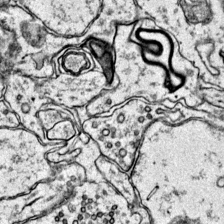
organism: Mouse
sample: Primary visual cortex